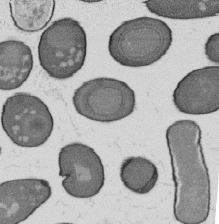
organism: B. subtilis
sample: Bacterial spore